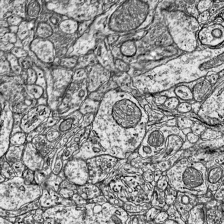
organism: Mouse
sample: Visual Cortex